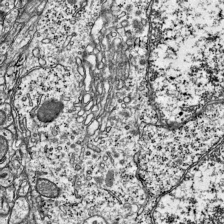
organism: Mouse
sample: Visual Cortex